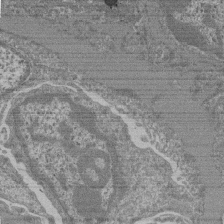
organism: Mouse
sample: Glomerulus